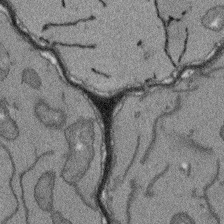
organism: Arabidopsis thaliana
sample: Root tip